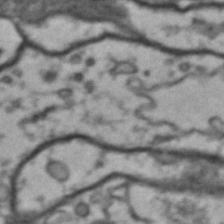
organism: Drosophila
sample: Brain